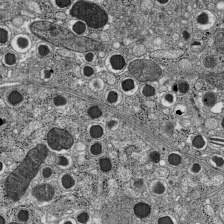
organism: C57BL Mouse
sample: Pancreatic islet